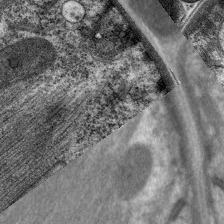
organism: C. elegans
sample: Pharynx